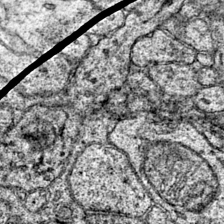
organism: Mouse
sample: Primary visual cortex